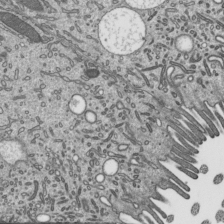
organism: Mouse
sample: Mouse epididymis efferent ductule cilia